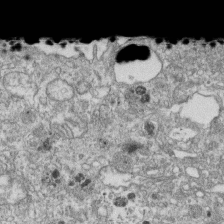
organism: Human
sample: HeLa cell HIV synapse